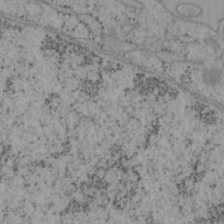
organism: Human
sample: HeLa cells